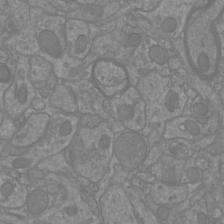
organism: Mouse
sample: Cortical neurons